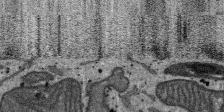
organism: Human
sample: Lung epithelial cells, uninfected (mock) control